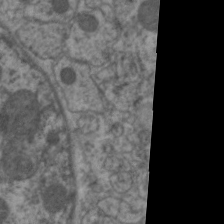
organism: C. elegans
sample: Pharynx